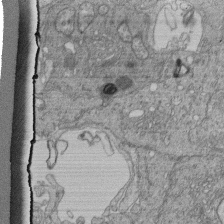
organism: Human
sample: Retinal organoid Rod and Cone cells